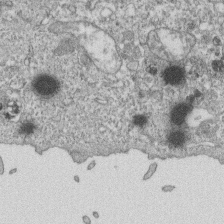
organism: Human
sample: HeLa cell HIV synapse